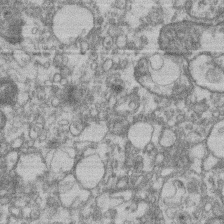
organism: Mouse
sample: T cell stromal cell synapse